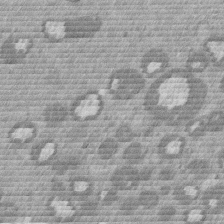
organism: Mouse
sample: Dividing mouse embryo 1 cell stage